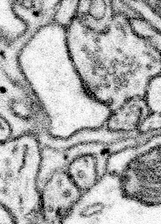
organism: Mouse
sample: Somatosensory cortex neuropil